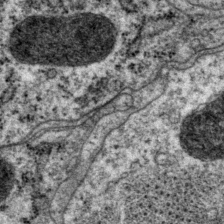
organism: P. pacificus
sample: Pharynx